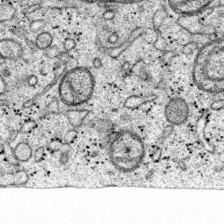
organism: Human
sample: HeLa cells